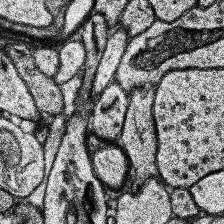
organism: Human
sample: Temporal Lobe